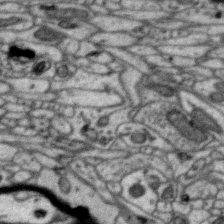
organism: Zebra finch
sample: Brain